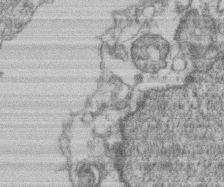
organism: Mouse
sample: T cell stromal cell synapse